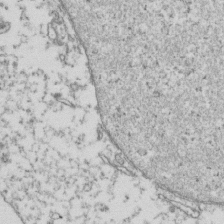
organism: Human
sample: Activated Jurkat CD4+ T cells